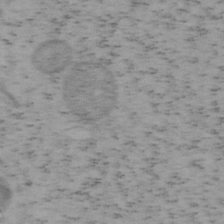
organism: Mouse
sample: OT-I killer T cells with ID8 ovarian cancer cells